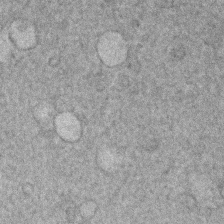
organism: Human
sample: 1205lu cells